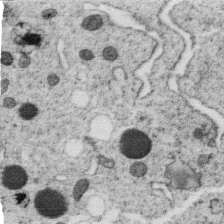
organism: C. elegans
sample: C. elegans oocyte; sperm cells